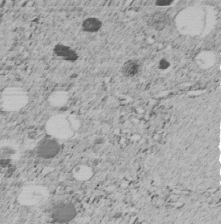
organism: C. elegans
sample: C. elegans embryo early stage